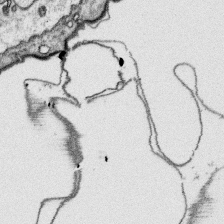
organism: Platynereis dumerilii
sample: Parapodia